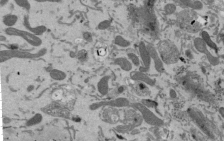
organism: Mouse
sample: ED-1 cell nuclei; centrioles